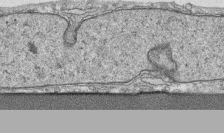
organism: Human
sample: CRL-1474